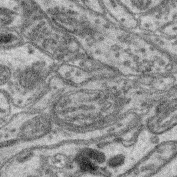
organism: Mouse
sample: Retina